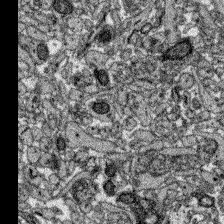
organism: Zebrafish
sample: Larval olfactory bulb